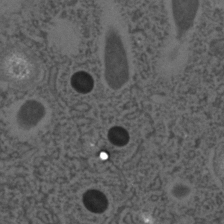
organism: C. elegans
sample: C. elegans embryo